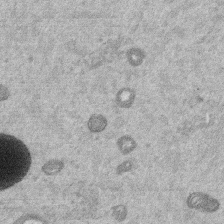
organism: Mouse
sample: Dividing mouse embryo 1 cell stage